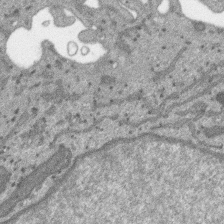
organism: Human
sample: Lung epithelial cells infected with SARS-CoV-2